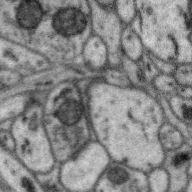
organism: Zebra finch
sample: Brain